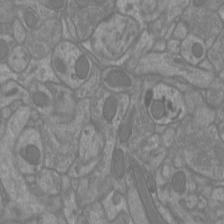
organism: Mouse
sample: Cortical neurons